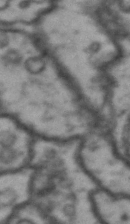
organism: Drosophila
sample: Brain